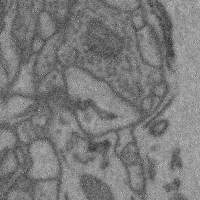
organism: Mouse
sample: Cerebral cortex